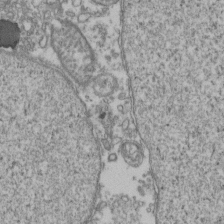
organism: Human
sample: Activated Jurkat CD4+ T cells